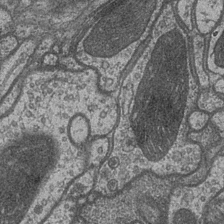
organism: Drosophila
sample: Optic medulla